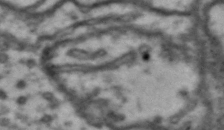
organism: Drosophila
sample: Brain